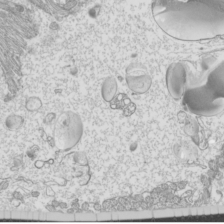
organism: Mouse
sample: Cilia; mouse epididymis